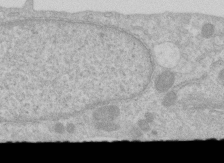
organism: Human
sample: Centriole in RPE cells